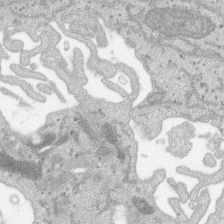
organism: Human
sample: Lung epithelial cells infected with SARS-CoV-2